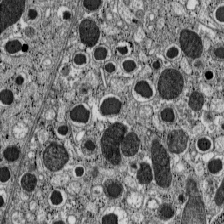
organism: C57BL Mouse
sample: Pancreatic islet